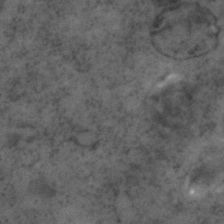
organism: C. elegans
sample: C. elegans embryo